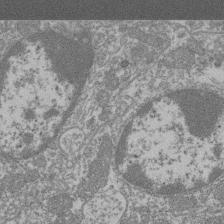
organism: Mouse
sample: Glomerulus